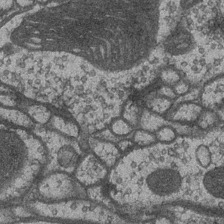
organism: Drosophila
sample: Optic medulla